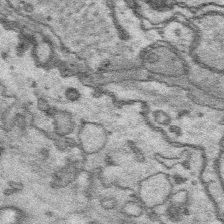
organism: Platynereis dumerilii